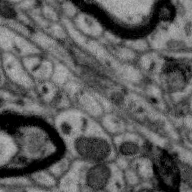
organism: Zebra finch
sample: Brain